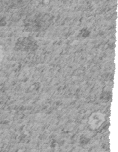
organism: C. elegans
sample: C. elegans embryo early stage